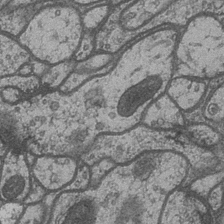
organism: Drosophila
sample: Optic medulla